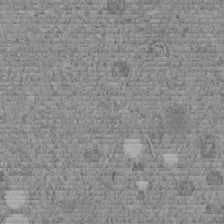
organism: C. elegans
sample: C. elegans embryo early stage